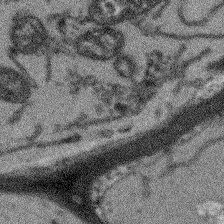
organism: Arabidopsis thaliana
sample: Root tip